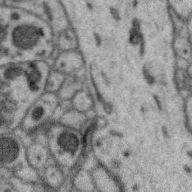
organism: Zebra finch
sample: Brain